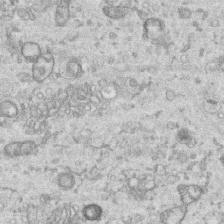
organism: Human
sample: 1205lu cells